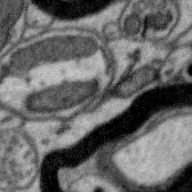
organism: Zebra finch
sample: Brain